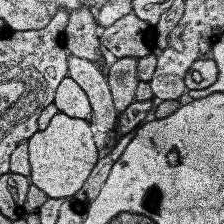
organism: Human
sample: Temporal Lobe